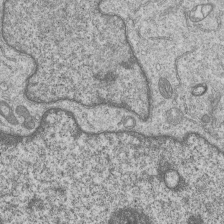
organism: Human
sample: MDA-MB-231 cells